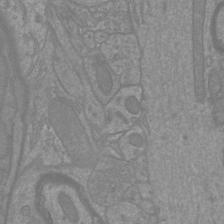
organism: Mouse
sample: Cortical neurons